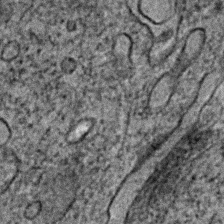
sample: Trachea